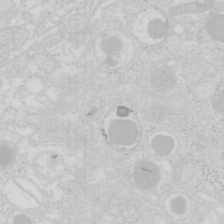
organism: Mouse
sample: Pancreas